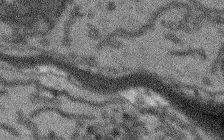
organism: Arabidopsis thaliana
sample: Root tip